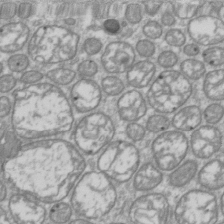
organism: Drosophila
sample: Cell division; meiosis; drosophila spermatocytes